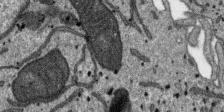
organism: Human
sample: Lung epithelial cells, uninfected (mock) control